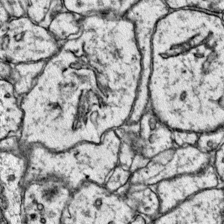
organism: Mouse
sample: Primary visual cortex